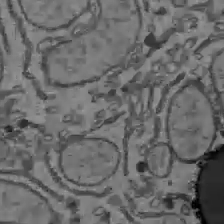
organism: C57BL Mouse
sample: Liver